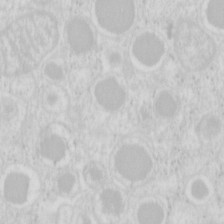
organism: Mouse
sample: Pancreas